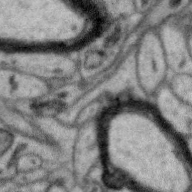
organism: Zebra finch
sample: Brain